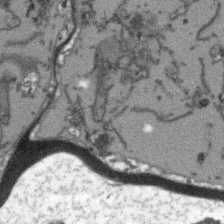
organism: Arabidopsis thaliana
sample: Root tip